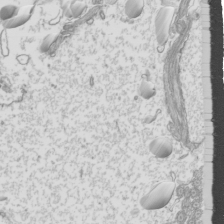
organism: Mouse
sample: Cilia; mouse epididymis